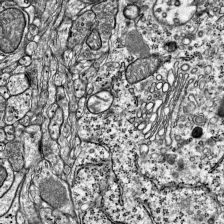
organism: Mouse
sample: Visual Cortex